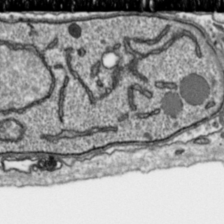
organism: Toxoplasma gondii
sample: Parasites in a vacuole inside a host cell